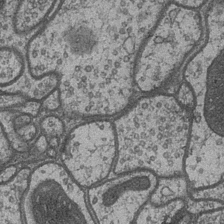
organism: Drosophila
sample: Optic medulla